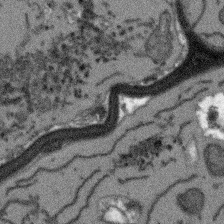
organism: Arabidopsis thaliana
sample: Root tip